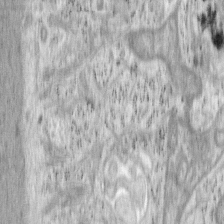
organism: Human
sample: HeLa cells